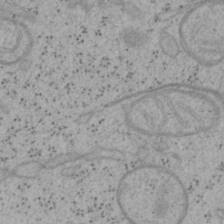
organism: Human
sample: HeLa cells